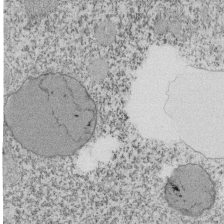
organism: Tetrahymena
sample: Cilia in tetrahymena